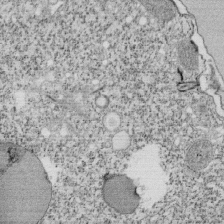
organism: Tetrahymena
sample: Cilia in tetrahymena